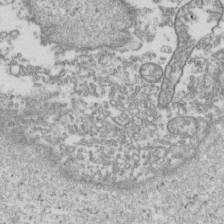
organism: Human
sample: Activated Jurkat CD4+ T cells